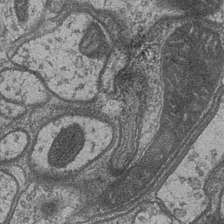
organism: Drosophila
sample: Optic medulla